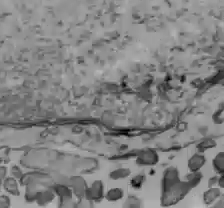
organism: C57BL Mouse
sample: Liver